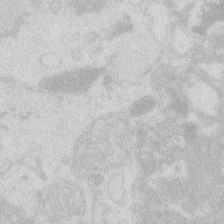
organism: Zebrafish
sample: Macrophage